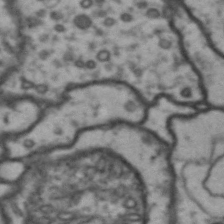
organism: Drosophila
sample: Brain